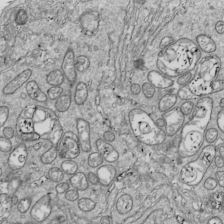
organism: Drosophila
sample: Cell division; meiosis; drosophila spermatocytes